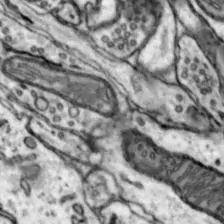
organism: Mouse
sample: Nucleus accumbens